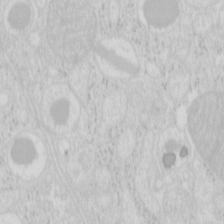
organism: Mouse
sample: Pancreas